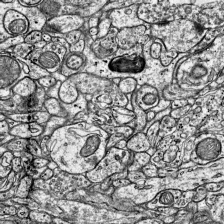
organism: Mouse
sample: Visual Cortex